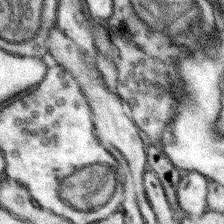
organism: Mouse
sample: Somatosensory cortex neuropil